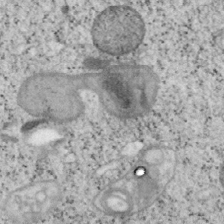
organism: Mouse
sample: OT-I killer T cells with ID8 ovarian cancer cells